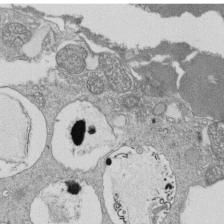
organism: Tetrahymena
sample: Cilia in tetrahymena